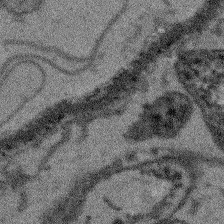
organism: Arabidopsis thaliana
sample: Root tip